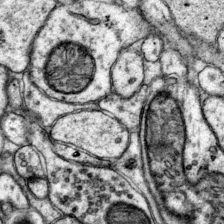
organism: Mouse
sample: Primary visual cortex